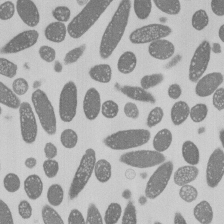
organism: E. coli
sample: Bacterial nucleoid